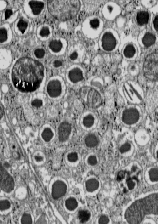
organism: C57BL Mouse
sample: Pancreatic islet